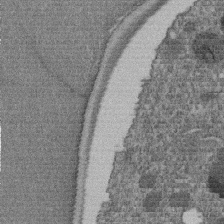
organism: C. elegans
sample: C. elegans embryo early stage